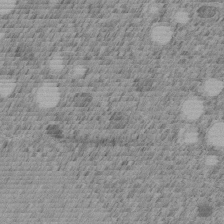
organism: C. elegans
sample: C. elegans embryo early stage